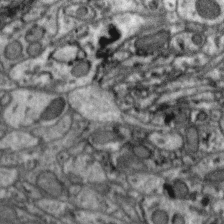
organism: Zebra finch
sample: Brain